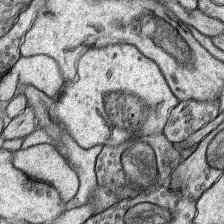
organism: Rat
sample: Hippocampus